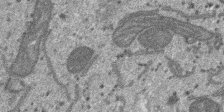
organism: Human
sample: Lung epithelial cells infected with SARS-CoV-2